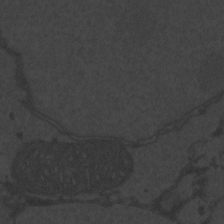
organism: Zebrafish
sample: Macrophage infected with Toxoplasma gondii